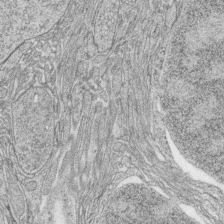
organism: Zebrafish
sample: synaptic ribbons in rod cells and cone cells